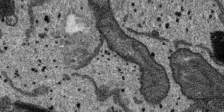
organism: Human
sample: Lung epithelial cells, uninfected (mock) control